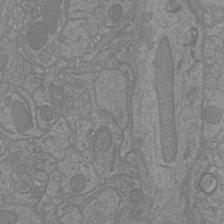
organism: Mouse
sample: Cortical neurons